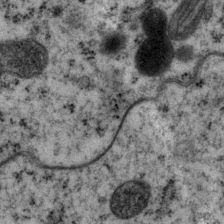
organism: P. pacificus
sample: Pharynx